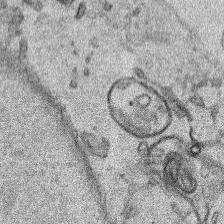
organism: Human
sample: Mitochondria in HCT116 cells